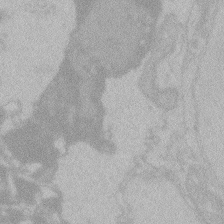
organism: Zebrafish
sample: Macrophage infected with Toxoplasma gondii